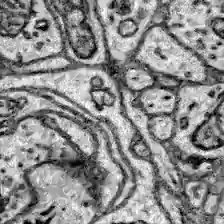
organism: Zebrafish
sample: Brain